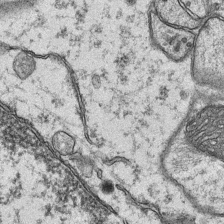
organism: Mouse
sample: CA1 Hippocampus